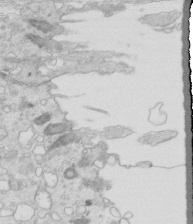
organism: Mouse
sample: Multiciliated cells